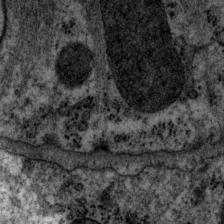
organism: P. pacificus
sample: Pharynx